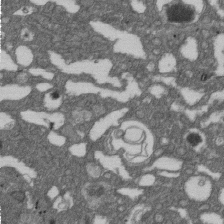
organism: Drosophila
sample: Nephrocyte